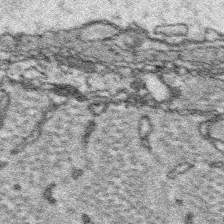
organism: Platynereis dumerilii